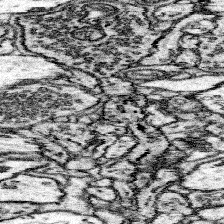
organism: Mouse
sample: Somatosensory cortex neuropil